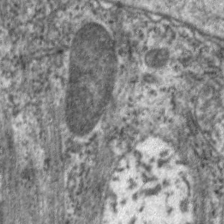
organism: C. elegans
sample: Pharynx